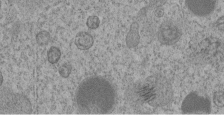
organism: C. elegans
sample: C. elegans embryo early stage